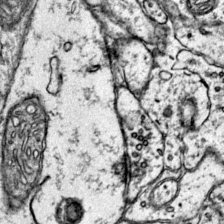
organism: Mouse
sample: Primary visual cortex